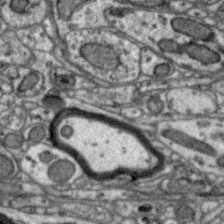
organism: Zebra finch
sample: Brain